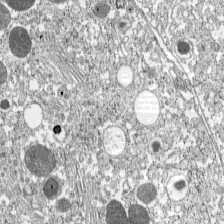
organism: C57BL Mouse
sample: Pancreatic islet